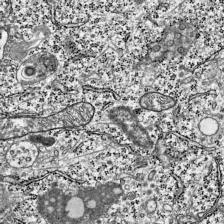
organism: Mouse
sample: Visual Cortex